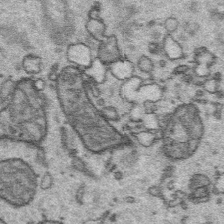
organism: Platynereis dumerilii